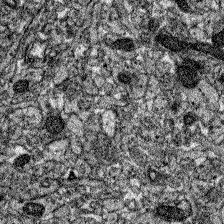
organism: Zebrafish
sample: Larval olfactory bulb